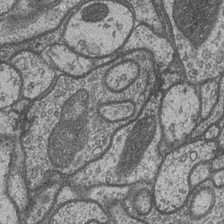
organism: Drosophila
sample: Optic medulla